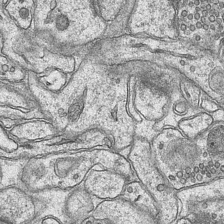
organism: Mouse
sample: CA1 Hippocampus